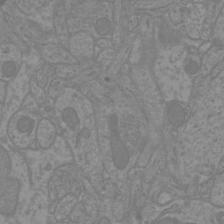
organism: Mouse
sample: Cortical neurons